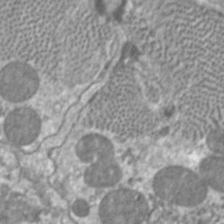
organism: C. elegans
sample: Pharynx